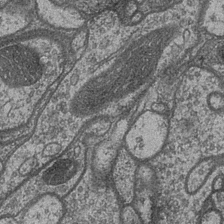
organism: Drosophila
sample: Optic medulla